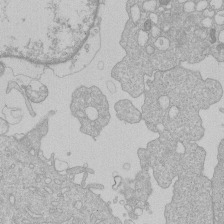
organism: Human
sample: Macrophage cells